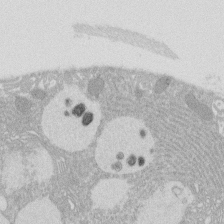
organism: Rat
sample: Salivary granule